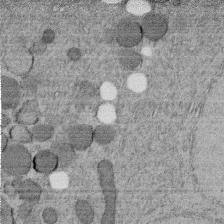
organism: C. elegans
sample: C. elegans embryo early stage